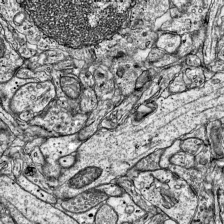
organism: Mouse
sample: Visual Cortex